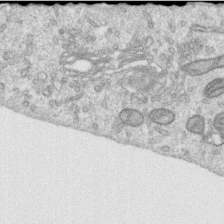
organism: Human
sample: Centriole in RPE cells